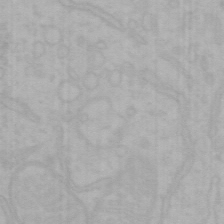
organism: Mouse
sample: Choroid plexus